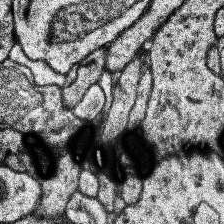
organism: Human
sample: Temporal Lobe